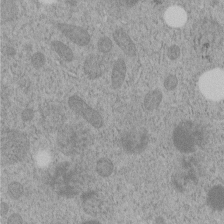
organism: C. elegans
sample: C. elegans embryo early stage